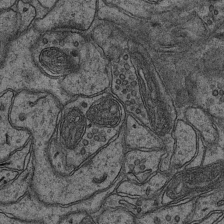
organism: Mouse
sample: CA1 Hippocampus